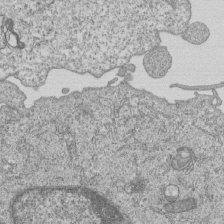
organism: Human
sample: MDA-MB-231 cells